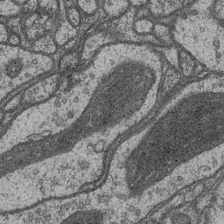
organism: Drosophila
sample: Optic medulla